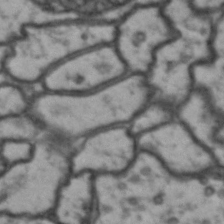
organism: Drosophila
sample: Brain